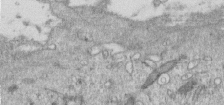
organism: Human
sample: Centriole in RPE cells